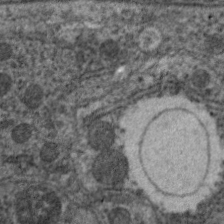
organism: C. elegans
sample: Pharynx